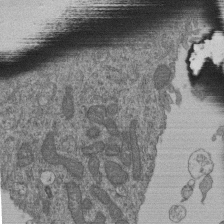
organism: Human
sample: Retinal organoid Rod and Cone cells